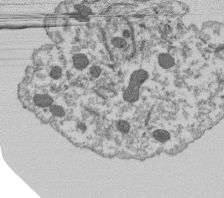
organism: Dictyostelium discoideum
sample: Dictyostelium multivesicular bodies